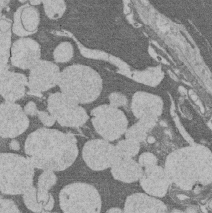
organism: Rat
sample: Salivary granule